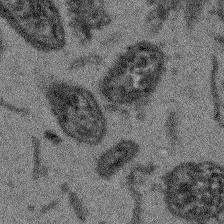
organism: Arabidopsis thaliana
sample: Root tip